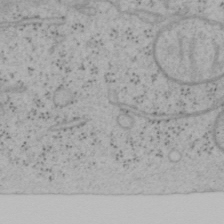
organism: Human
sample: HeLa cells